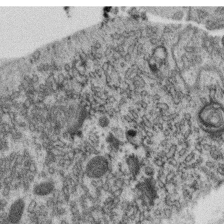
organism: C. elegans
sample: C. elegans oocyte; sperm cells